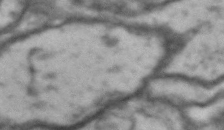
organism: Drosophila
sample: Brain